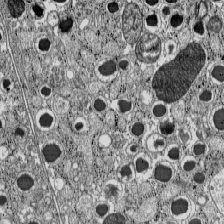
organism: C57BL Mouse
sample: Pancreatic islet